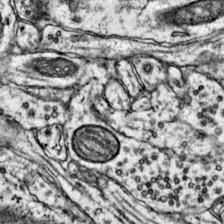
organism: Mouse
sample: Primary visual cortex